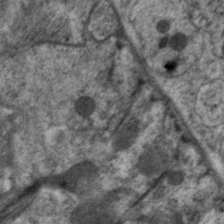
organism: C. elegans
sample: Pharynx